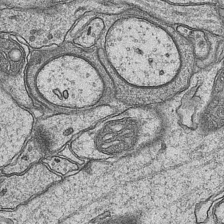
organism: Mouse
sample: CA1 Hippocampus